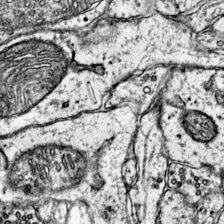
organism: Mouse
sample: Primary visual cortex